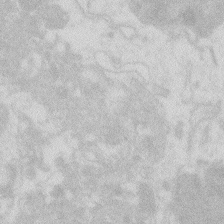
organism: Zebrafish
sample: Macrophage